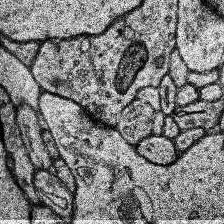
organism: Human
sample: Temporal Lobe